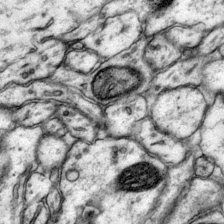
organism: Mouse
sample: Primary visual cortex